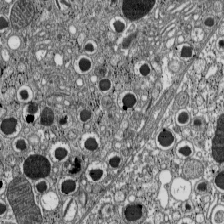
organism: C57BL Mouse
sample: Pancreatic islet